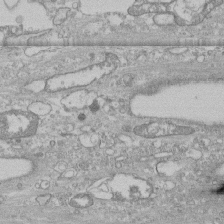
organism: Human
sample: CRL-1474